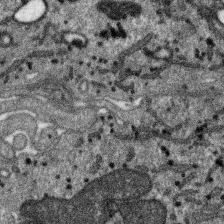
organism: Human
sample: Lung epithelial cells infected with SARS-CoV-2